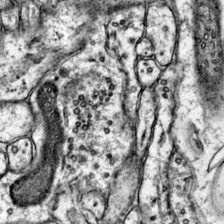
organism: Mouse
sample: Primary visual cortex